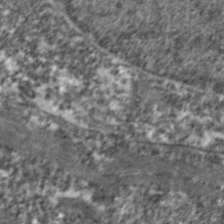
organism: Zebrafish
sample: Zebrafish embryo